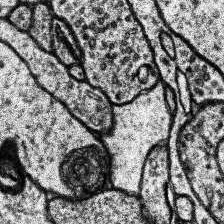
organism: Human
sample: Temporal Lobe